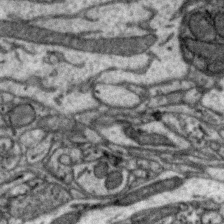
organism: Zebra finch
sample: Brain